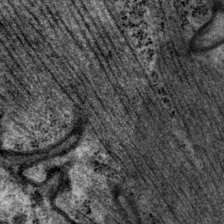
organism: P. pacificus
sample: Pharynx